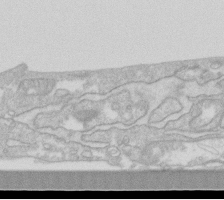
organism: Human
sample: Fibroblast cells